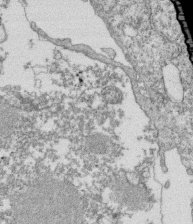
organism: Human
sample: HeLa cell HIV synapse